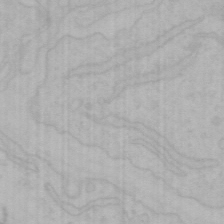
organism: Mouse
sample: Choroid plexus